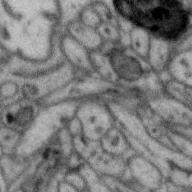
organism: Zebra finch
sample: Brain